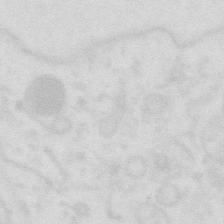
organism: Human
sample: HeLa cells